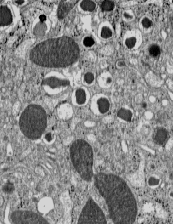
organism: C57BL Mouse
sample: Pancreatic islet